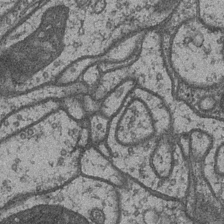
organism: Drosophila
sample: Optic medulla